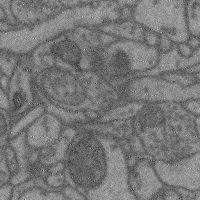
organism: Mouse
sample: Cerebral cortex